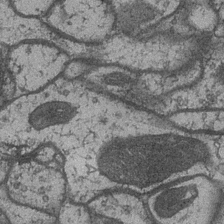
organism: Drosophila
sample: Optic medulla